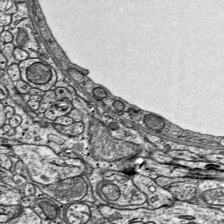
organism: Mouse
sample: Visual Cortex